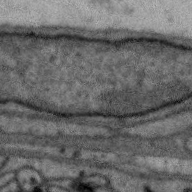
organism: Zebra finch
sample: Brain